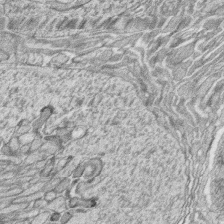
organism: Zebrafish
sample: synaptic ribbons in rod cells and cone cells